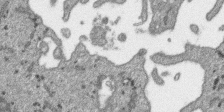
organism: Human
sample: Lung epithelial cells infected with SARS-CoV-2